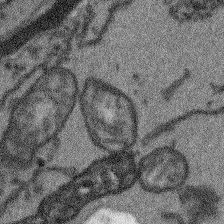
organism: Arabidopsis thaliana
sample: Root tip